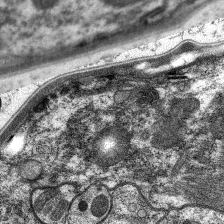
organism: C. elegans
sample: Pharynx